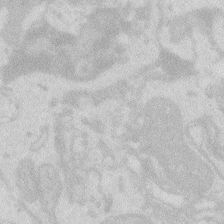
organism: Zebrafish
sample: Macrophage